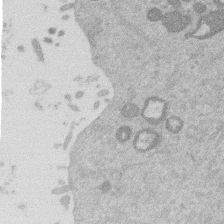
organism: Mouse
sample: Dividing mouse embryo 1 cell stage